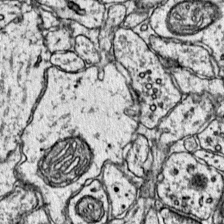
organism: Mouse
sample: Primary visual cortex